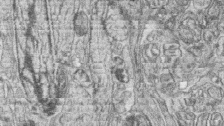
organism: Zebrafish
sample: synaptic ribbons in rod cells and cone cells